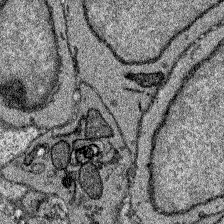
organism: Zebrafish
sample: Larval olfactory bulb